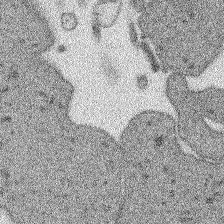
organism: Human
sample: HeLa cells